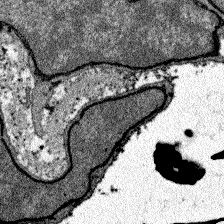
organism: Zebrafish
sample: Larval olfactory bulb